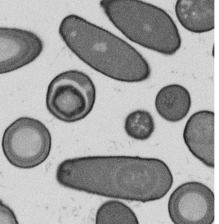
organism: B. subtilis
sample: Bacterial spore